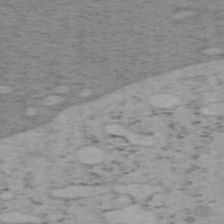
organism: Mouse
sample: OT-I killer T cells with ID8 ovarian cancer cells